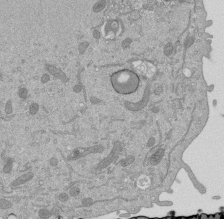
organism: Mouse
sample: ED-1 cell nuclei; centrioles